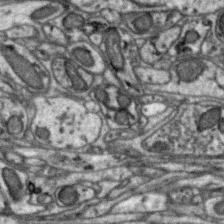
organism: Zebra finch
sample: Brain